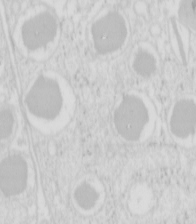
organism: Mouse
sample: Pancreas